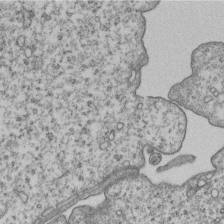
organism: Human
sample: MDA-MB-231 cells